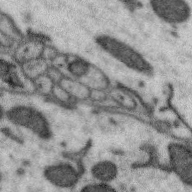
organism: Zebra finch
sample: Brain